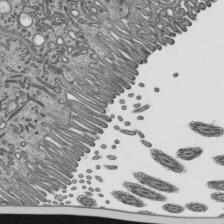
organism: Mouse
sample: Mouse epididymis efferent ductule cilia